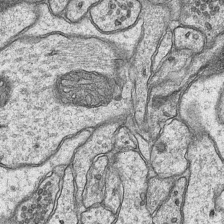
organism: Mouse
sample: CA1 Hippocampus